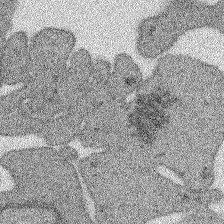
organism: Human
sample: HeLa cells